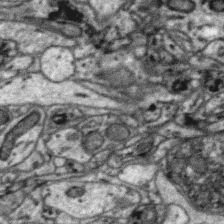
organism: Zebra finch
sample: Brain